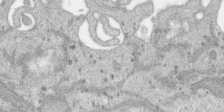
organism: Human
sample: Lung epithelial cells infected with SARS-CoV-2